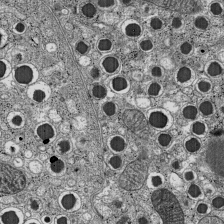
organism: C57BL Mouse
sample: Pancreatic islet